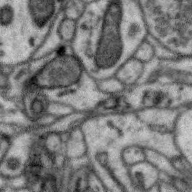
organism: Zebra finch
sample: Brain